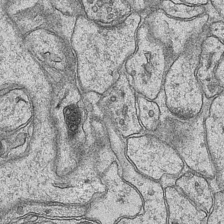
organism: Mouse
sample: CA1 Hippocampus